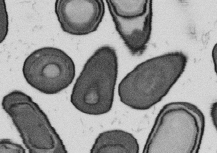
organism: B. subtilis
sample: Bacterial spore